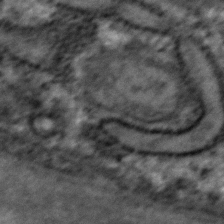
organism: Zebrafish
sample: Zebrafish embryo